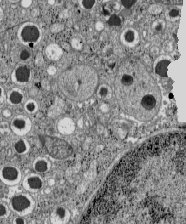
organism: C57BL Mouse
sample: Pancreatic islet